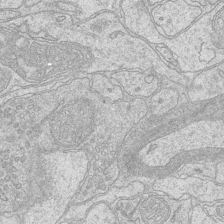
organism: Mouse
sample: CA1 Hippocampus